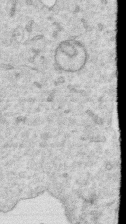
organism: Human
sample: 1205lu cells